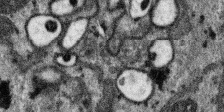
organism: Human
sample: Lung epithelial cells infected with SARS-CoV-2